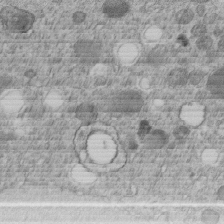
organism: C. elegans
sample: C. elegans embryo early stage